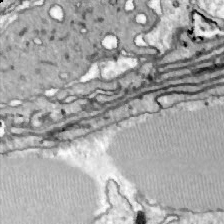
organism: Zebrafish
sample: Actinotrichia fibers